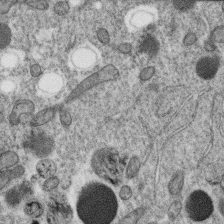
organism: C. elegans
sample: C. elegans oocyte; sperm cells